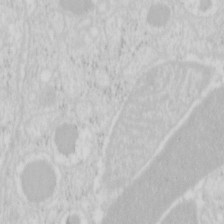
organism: Mouse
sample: Pancreas